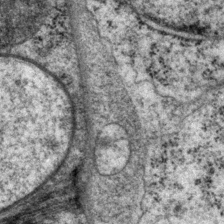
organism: P. pacificus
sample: Pharynx